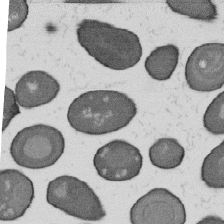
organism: B. subtilis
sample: Bacterial spore